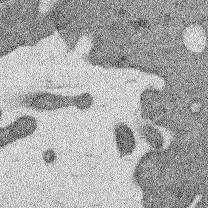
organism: Human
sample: HeLa cells